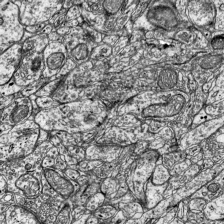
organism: Mouse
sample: Visual Cortex